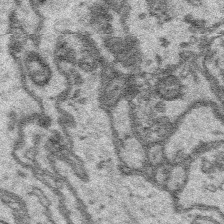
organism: Platynereis dumerilii